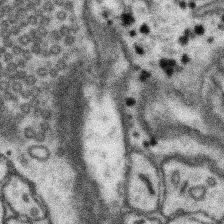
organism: Mouse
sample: Somatosensory cortex neuropil